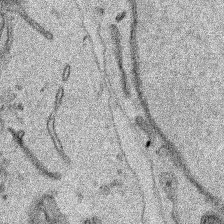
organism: Human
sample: Mitochondria in HCT116 cells